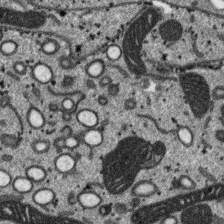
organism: Human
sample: Lung epithelial cells infected with SARS-CoV-2